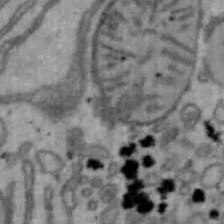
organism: Mouse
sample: Liver